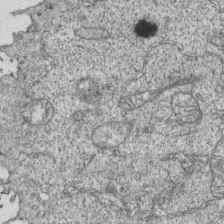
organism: Human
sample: HeLa cell HIV synapse